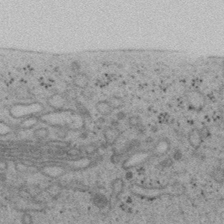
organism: Human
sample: HeLa cells